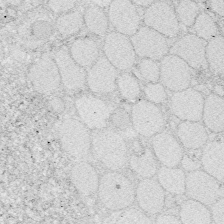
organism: Zebrafish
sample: Whole-Brain